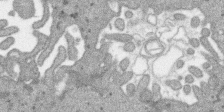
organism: Human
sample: Lung epithelial cells infected with SARS-CoV-2